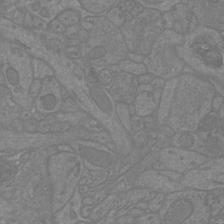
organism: Mouse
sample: Cortical neurons